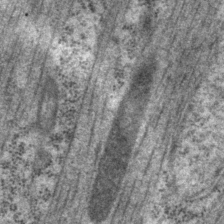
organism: P. pacificus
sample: Pharynx